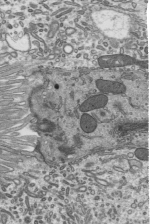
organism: Mouse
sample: Mouse epididymis efferent ductule cilia